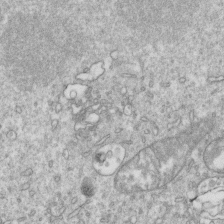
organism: Mouse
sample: Activated OT-1 CD8+ T cells